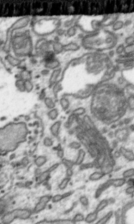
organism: Toxoplasma gondii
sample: Parasites in a vacuole inside a host cell